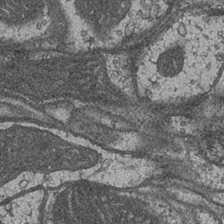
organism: Drosophila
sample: Optic medulla